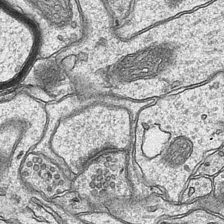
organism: Mouse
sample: CA1 Hippocampus